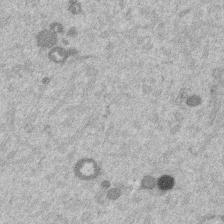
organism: Mouse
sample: Dividing mouse embryo 1 cell stage